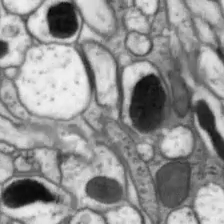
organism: Drosophila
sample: Optic lobe